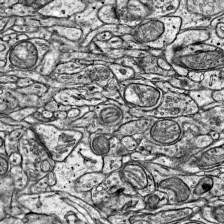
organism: Mouse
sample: Visual Cortex